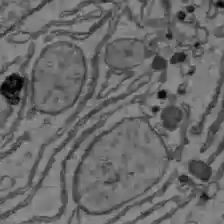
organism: C57BL Mouse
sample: Liver